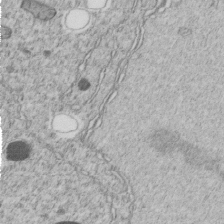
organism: C. elegans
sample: C. elegans embryo early stage